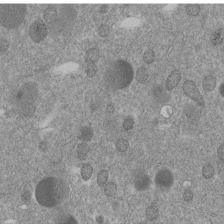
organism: C. elegans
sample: C. elegans embryo early stage